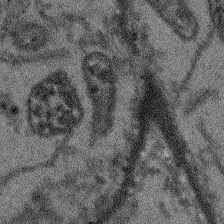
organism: Arabidopsis thaliana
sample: Root tip